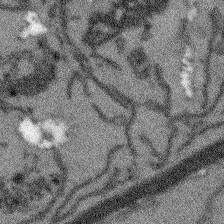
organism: Arabidopsis thaliana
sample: Root tip